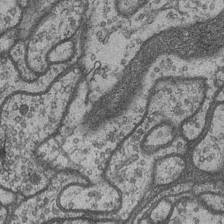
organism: Drosophila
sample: Optic medulla